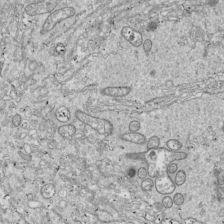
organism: Drosophila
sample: Cell division; meiosis; drosophila spermatocytes